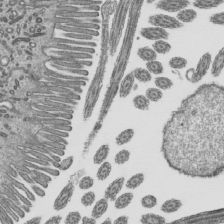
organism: Mouse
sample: Mouse epididymis efferent ductule cilia